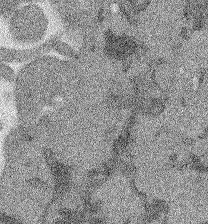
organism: Human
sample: HeLa cells